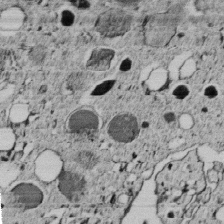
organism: C. elegans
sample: C. elegans embryo early stage